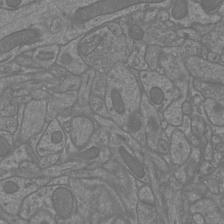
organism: Mouse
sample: Cortical neurons